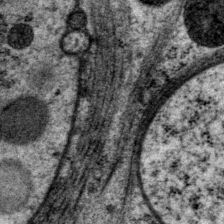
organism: P. pacificus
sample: Pharynx